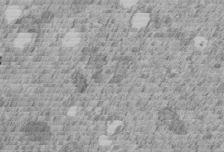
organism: C. elegans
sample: C. elegans embryo early stage